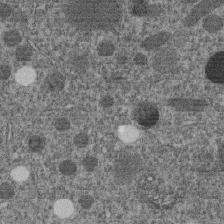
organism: C. elegans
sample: C. elegans embryo early stage